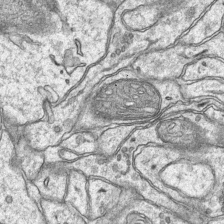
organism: Mouse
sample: CA1 Hippocampus